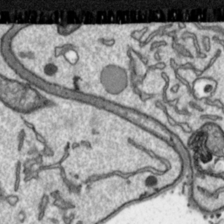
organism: Toxoplasma gondii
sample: Parasites in a vacuole inside a host cell